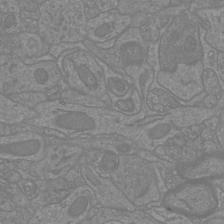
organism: Mouse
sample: Cortical neurons